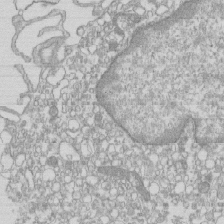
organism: Mouse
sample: Macrophages